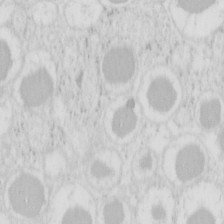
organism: Mouse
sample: Pancreas